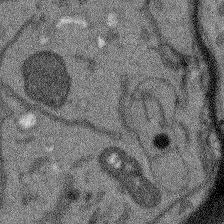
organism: Arabidopsis thaliana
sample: Root tip